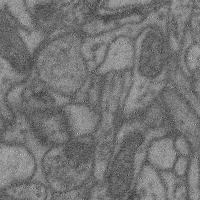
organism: Mouse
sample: Cerebral cortex